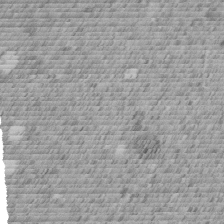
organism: C. elegans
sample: C. elegans embryo early stage